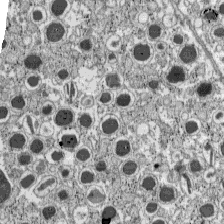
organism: C57BL Mouse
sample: Pancreatic islet